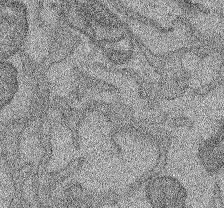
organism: Human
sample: HeLa cells